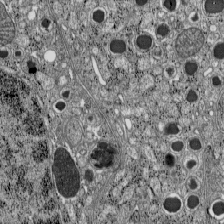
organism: C57BL Mouse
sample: Pancreatic islet